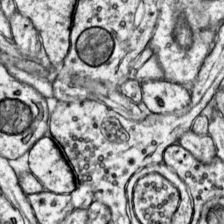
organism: Mouse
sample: Primary visual cortex